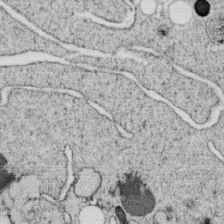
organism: C. elegans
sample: C. elegans oocyte; sperm cells